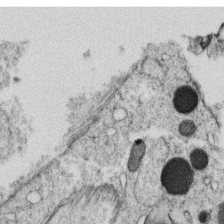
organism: C. elegans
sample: C. elegans oocyte; sperm cells